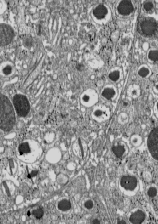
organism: C57BL Mouse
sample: Pancreatic islet